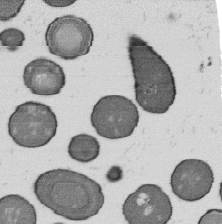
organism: B. subtilis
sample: Bacterial spore